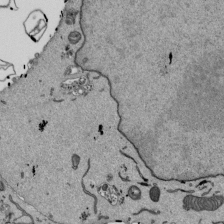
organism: Mouse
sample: ED-1 cell nuclei; centrioles